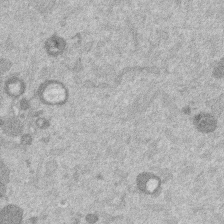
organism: Mouse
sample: Dividing mouse embryo 1 cell stage